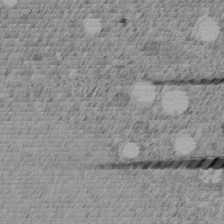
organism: C. elegans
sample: C. elegans embryo early stage